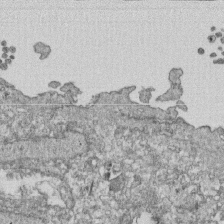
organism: Human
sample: HeLa cell HIV synapse